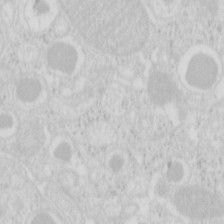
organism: Mouse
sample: Pancreas